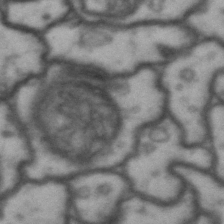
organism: Drosophila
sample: Brain